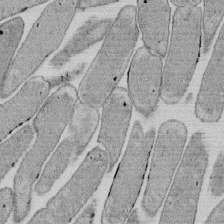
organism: E. coli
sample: Bacterial nucleoid